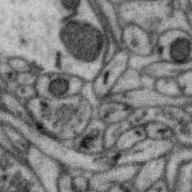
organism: Zebra finch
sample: Brain